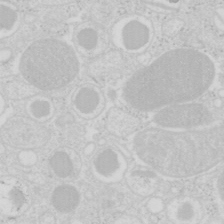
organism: Mouse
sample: Pancreas